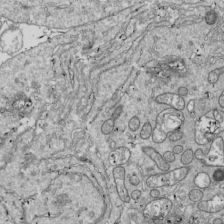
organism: Drosophila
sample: Cell division; meiosis; drosophila spermatocytes